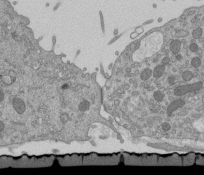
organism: Mouse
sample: ED-1 cell nuclei; centrioles